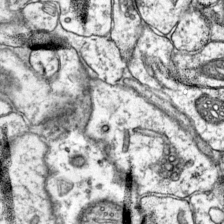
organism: Mouse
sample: Primary visual cortex